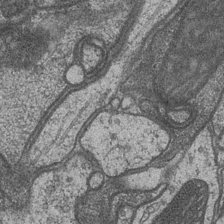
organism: Drosophila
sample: Optic medulla